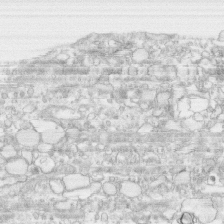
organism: Human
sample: CRL-1474